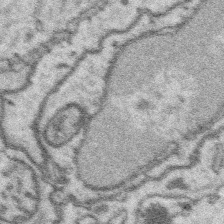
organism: Platynereis dumerilii